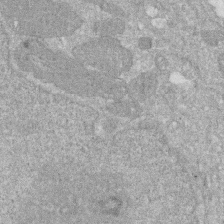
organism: Human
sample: HIV infected U937 cells